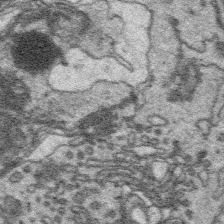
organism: Platynereis dumerilii